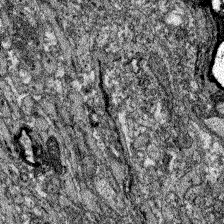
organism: Zebrafish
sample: Larval olfactory bulb